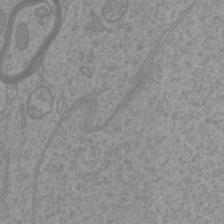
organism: Mouse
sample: Cortical neurons